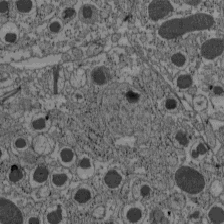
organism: C57BL Mouse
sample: Pancreatic islet